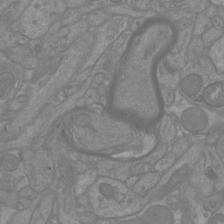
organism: Mouse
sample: Cortical neurons